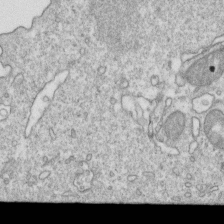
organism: Mouse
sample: Activated OT-1 CD8+ T cells